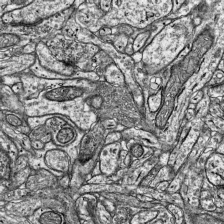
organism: Mouse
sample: Visual Cortex